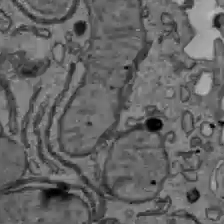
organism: C57BL Mouse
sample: Liver